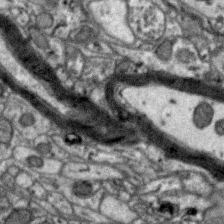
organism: Zebra finch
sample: Brain